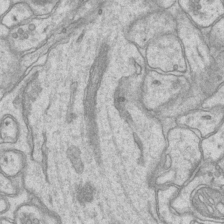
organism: Mouse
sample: CA1 Hippocampus